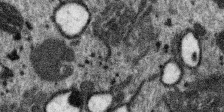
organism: Human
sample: Lung epithelial cells infected with SARS-CoV-2